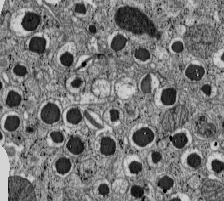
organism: C57BL Mouse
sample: Pancreatic islet